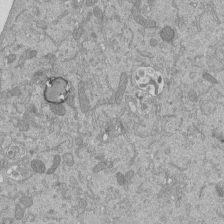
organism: Mouse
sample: ED-1 cell nuclei; centrioles